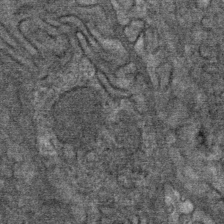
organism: Mouse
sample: Mouse Salivary gland